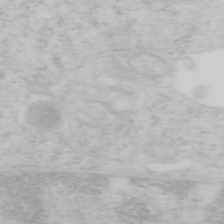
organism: Mouse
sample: OT-I killer T cells with ID8 ovarian cancer cells